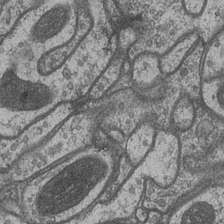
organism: Drosophila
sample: Optic medulla